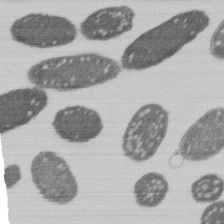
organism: E. coli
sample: Bacterial nucleoid